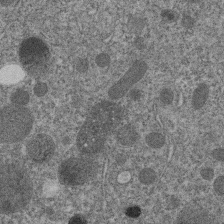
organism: C. elegans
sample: C. elegans embryo early stage